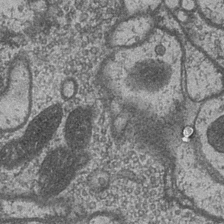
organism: Drosophila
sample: Optic medulla